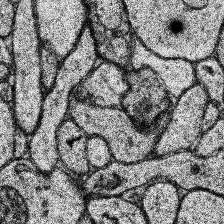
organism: Human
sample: Temporal Lobe